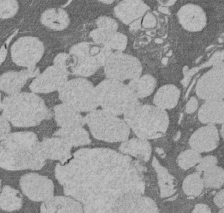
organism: Rat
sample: Salivary granule